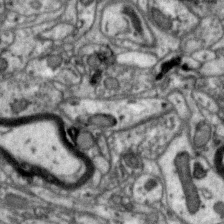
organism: Zebra finch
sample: Brain